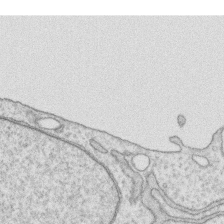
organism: Human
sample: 1205lu cells